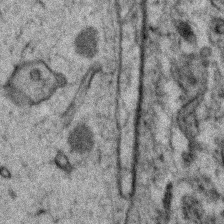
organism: Zebrafish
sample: Zebrafish embryo